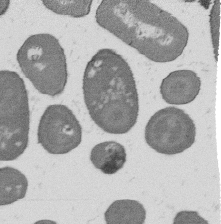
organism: B. subtilis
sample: Bacterial spore